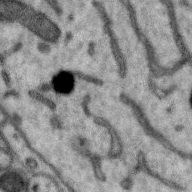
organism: Zebra finch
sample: Brain